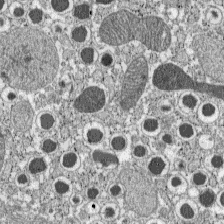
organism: C57BL Mouse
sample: Pancreatic islet